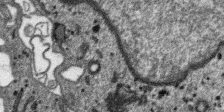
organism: Human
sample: Lung epithelial cells infected with SARS-CoV-2